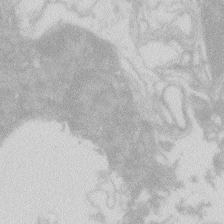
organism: Zebrafish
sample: Macrophage